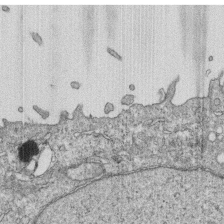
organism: Human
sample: HeLa cell HIV synapse